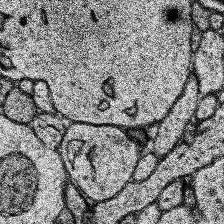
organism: Human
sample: Temporal Lobe